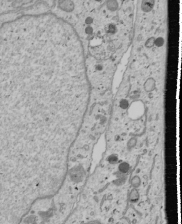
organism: Human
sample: Mitochondria in U2OS cells